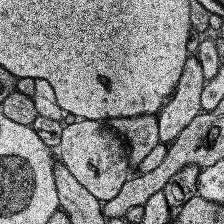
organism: Human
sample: Temporal Lobe